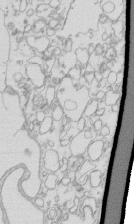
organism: Mouse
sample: Macrophages